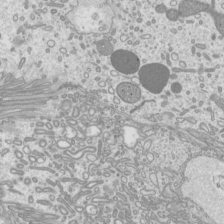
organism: Mouse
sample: Cilia; mouse epididymis